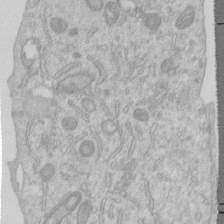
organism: Human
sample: Centriole in RPE cells